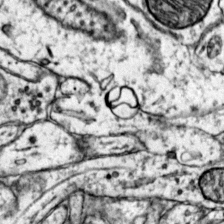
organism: Mouse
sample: Primary visual cortex